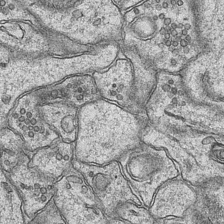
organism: Mouse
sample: CA1 Hippocampus